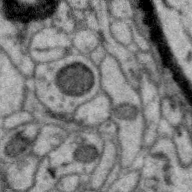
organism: Zebra finch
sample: Brain